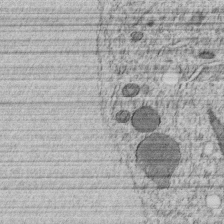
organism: C. elegans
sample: C. elegans embryo early stage